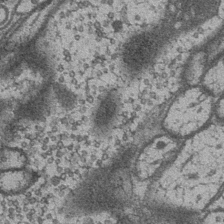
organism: Drosophila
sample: Optic medulla